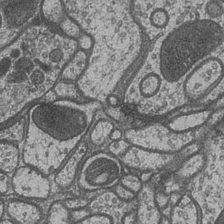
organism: Drosophila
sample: Optic medulla